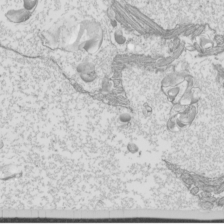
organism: Mouse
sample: Cilia; mouse epididymis